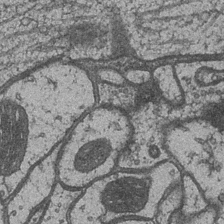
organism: Drosophila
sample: Optic medulla